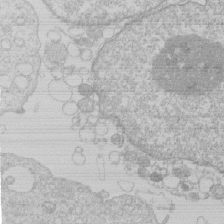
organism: Human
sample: Macrophage cells